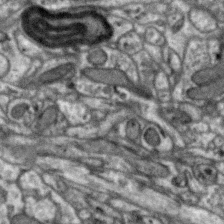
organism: Zebra finch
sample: Brain